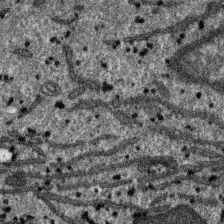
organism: Human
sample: Lung epithelial cells infected with SARS-CoV-2